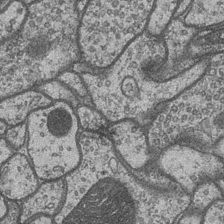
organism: Drosophila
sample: Optic medulla